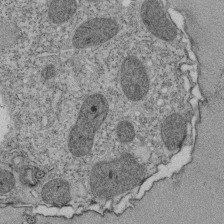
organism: Tetrahymena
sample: Cilia in tetrahymena